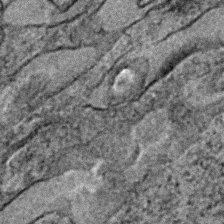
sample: Trachea